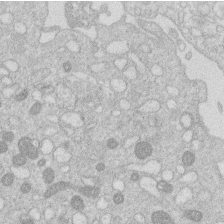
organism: Human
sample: Macrophage cells